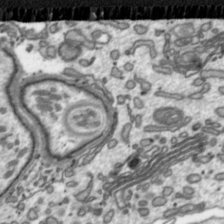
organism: Toxoplasma gondii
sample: Parasites in a vacuole inside a host cell